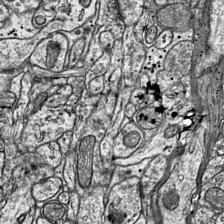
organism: Mouse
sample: Visual Cortex